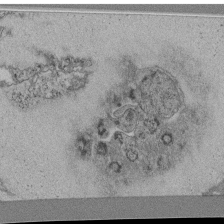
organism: C. elegans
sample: C. elegans pharynx